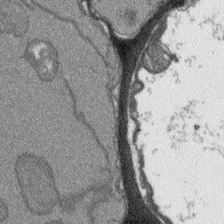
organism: Arabidopsis thaliana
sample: Root tip